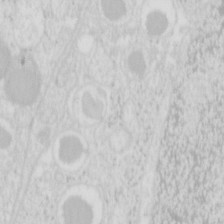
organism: Mouse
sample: Pancreas